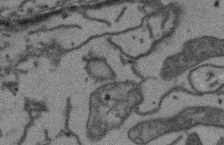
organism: Arabidopsis thaliana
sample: Root tip